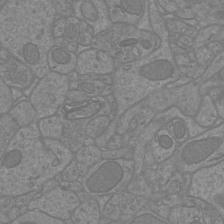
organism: Mouse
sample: Cortical neurons